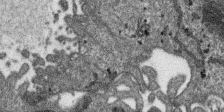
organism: Human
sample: Lung epithelial cells infected with SARS-CoV-2